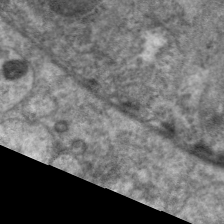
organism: C. elegans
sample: Pharynx